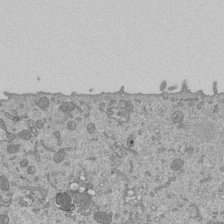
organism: Mouse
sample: ED-1 cell nuclei; centrioles